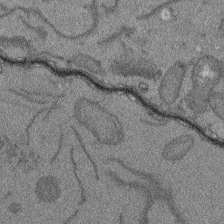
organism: Arabidopsis thaliana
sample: Root tip